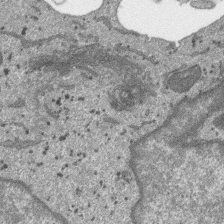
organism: Human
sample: Lung epithelial cells infected with SARS-CoV-2